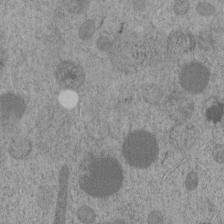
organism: C. elegans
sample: C. elegans embryo early stage